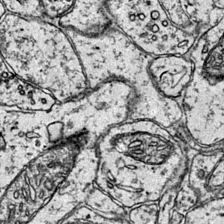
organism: Mouse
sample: Primary visual cortex